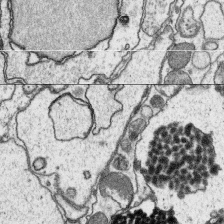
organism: Platynereis dumerilii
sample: Parapodia